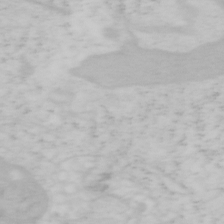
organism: Mouse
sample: OT-I killer T cells with ID8 ovarian cancer cells